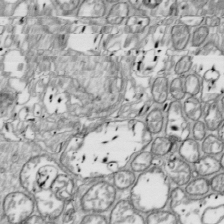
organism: Drosophila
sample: Cell division; meiosis; drosophila spermatocytes